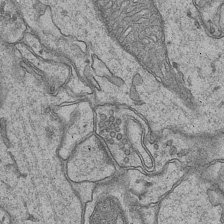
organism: Mouse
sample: CA1 Hippocampus